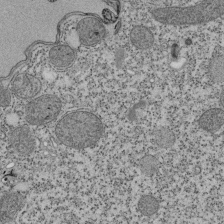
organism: Tetrahymena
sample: Cilia in tetrahymena